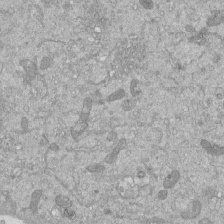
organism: Mouse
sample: ED-1 cell nuclei; centrioles